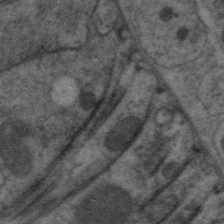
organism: C. elegans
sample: Pharynx